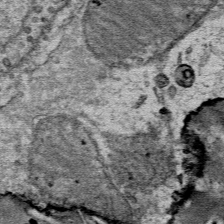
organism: Mouse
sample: Mouse Salivary gland